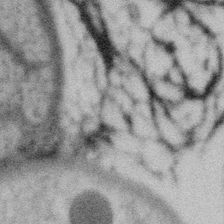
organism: Gemmata obscuriglobus